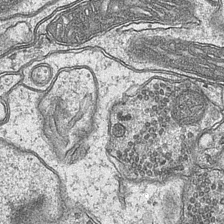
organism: Mouse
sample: CA1 Hippocampus